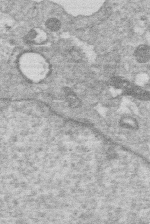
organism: Human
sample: Macrophage cells